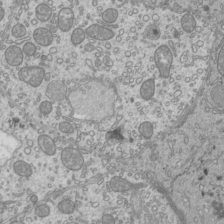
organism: Mouse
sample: Cilia; mouse epididymis